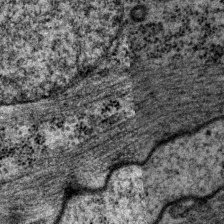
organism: P. pacificus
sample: Pharynx